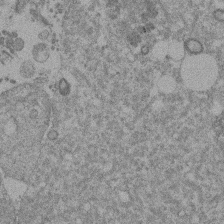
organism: Mouse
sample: Dividing mouse embryo 1 cell stage